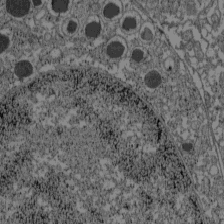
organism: C57BL Mouse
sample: Pancreatic islet